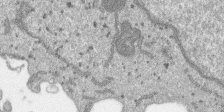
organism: Human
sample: Lung epithelial cells infected with SARS-CoV-2